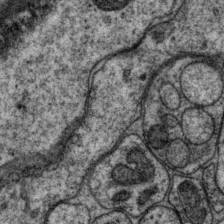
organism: P. pacificus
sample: Pharynx